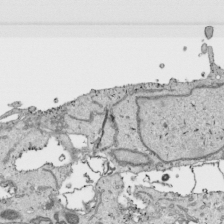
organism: Human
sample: Mitochondria in HCT116 cells